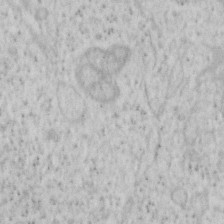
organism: Human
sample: HeLa cells